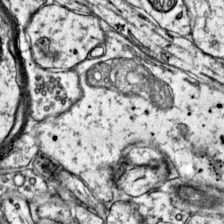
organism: Mouse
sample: Primary visual cortex